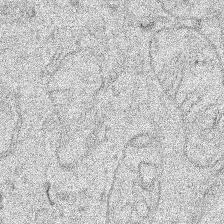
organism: Human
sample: Mitochondria in HCT116 cells